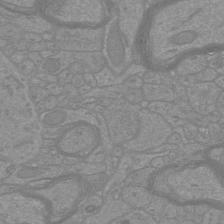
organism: Mouse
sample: Cortical neurons